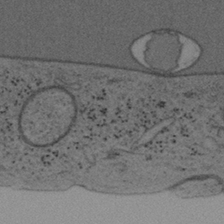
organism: Human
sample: HeLa cells